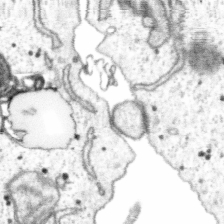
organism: Human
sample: HeLa cells